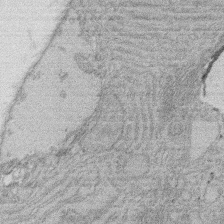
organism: Rat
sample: Salivary granule